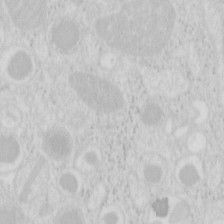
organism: Mouse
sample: Pancreas